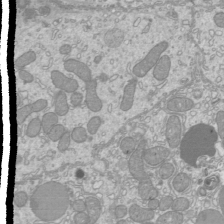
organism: Mouse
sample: Cilia; mouse epididymis